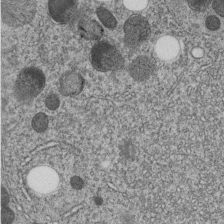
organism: C. elegans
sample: C. elegans embryo early stage